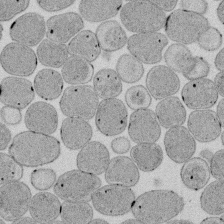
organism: E. coli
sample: Bacterial nucleoid